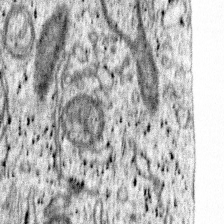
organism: Human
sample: HeLa cells